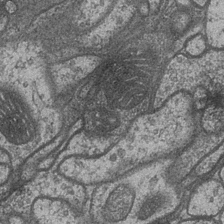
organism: Drosophila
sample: Optic medulla